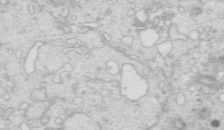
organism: Mouse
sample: Multiciliated cells